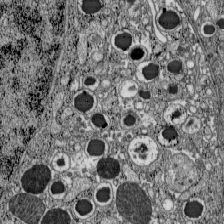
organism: C57BL Mouse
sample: Pancreatic islet